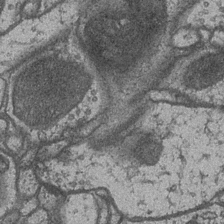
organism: Drosophila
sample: Optic medulla